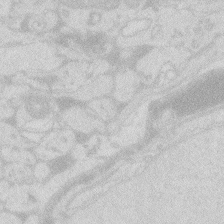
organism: Zebrafish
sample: Macrophage